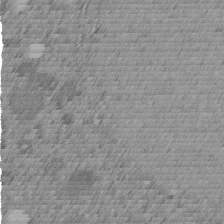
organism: C. elegans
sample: C. elegans embryo early stage